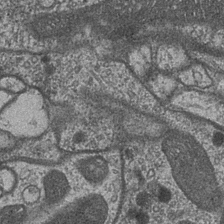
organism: Drosophila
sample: Optic medulla